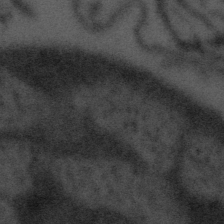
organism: Tuwongella immobilis